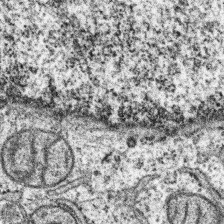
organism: Human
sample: HeLa cells